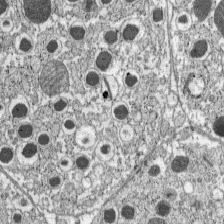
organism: C57BL Mouse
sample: Pancreatic islet